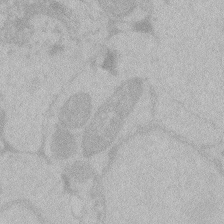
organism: Zebrafish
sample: Macrophage infected with Toxoplasma gondii